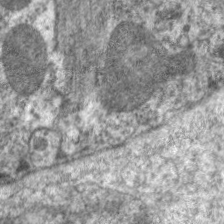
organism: C. elegans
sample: Pharynx